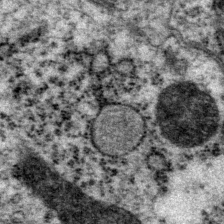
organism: P. pacificus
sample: Pharynx